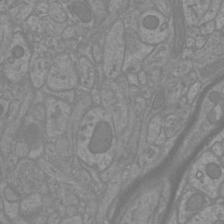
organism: Mouse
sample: Cortical neurons